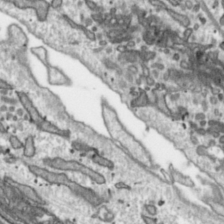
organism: Toxoplasma gondii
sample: Parasites in a vacuole inside a host cell